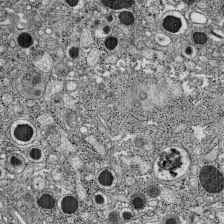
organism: C57BL Mouse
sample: Pancreatic islet